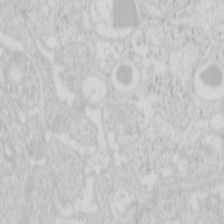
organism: Mouse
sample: Pancreas